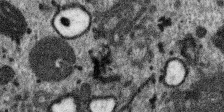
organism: Human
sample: Lung epithelial cells infected with SARS-CoV-2